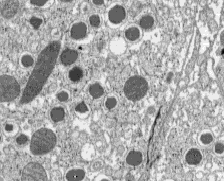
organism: C57BL Mouse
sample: Pancreatic islet